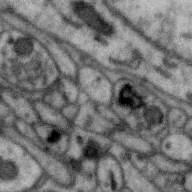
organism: Zebra finch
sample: Brain